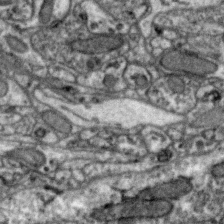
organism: Zebra finch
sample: Brain